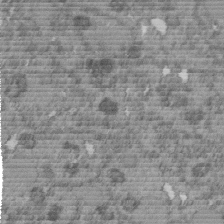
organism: C. elegans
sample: C. elegans embryo early stage